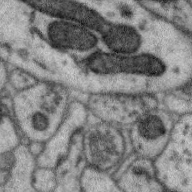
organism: Zebra finch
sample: Brain